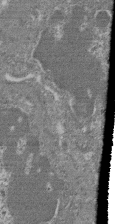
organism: Mouse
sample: Glomerulus